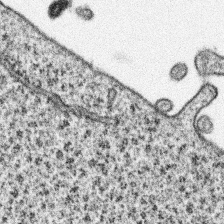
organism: Human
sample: HeLa cells